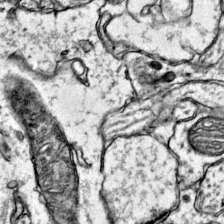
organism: Mouse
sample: Primary visual cortex